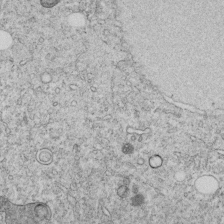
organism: C. elegans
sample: C. elegans embryo early stage